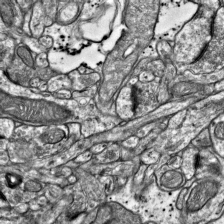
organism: Mouse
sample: Visual Cortex